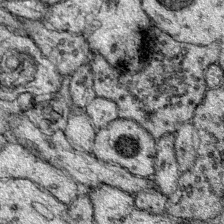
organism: Mouse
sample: Primary visual cortex